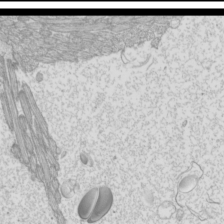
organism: Mouse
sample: Cilia; mouse epididymis